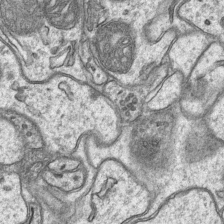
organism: Mouse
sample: CA1 Hippocampus